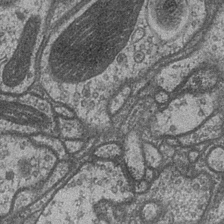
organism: Drosophila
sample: Optic medulla